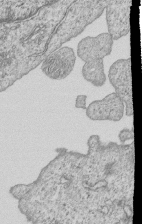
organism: Human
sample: MDA-MB-231 cells